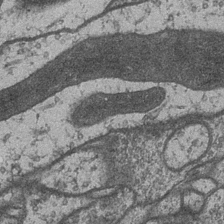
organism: Drosophila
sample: Optic medulla